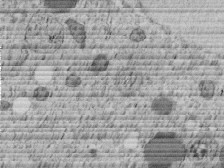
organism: C. elegans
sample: C. elegans embryo early stage